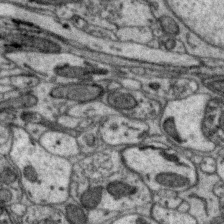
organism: Zebra finch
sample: Brain